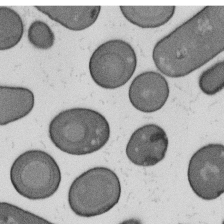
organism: B. subtilis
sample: Bacterial spore